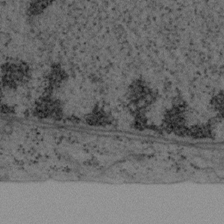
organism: Human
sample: HeLa cells